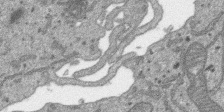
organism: Human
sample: Lung epithelial cells infected with SARS-CoV-2